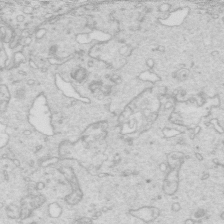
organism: Mouse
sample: Multiciliated cells